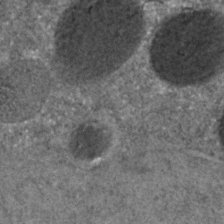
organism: C. elegans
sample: C. elegans embryo